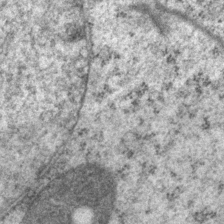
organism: P. pacificus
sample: Pharynx